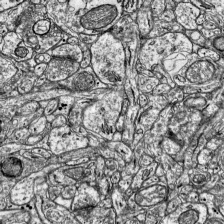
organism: Mouse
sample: Visual Cortex